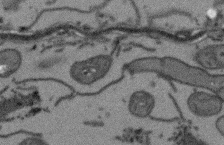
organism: Arabidopsis thaliana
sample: Root tip